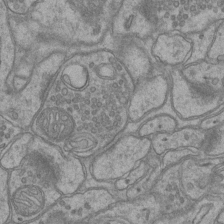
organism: Mouse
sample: CA1 Hippocampus